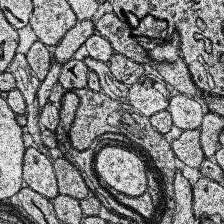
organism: Human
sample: Temporal Lobe